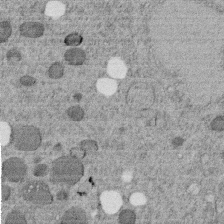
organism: C. elegans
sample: C. elegans embryo early stage